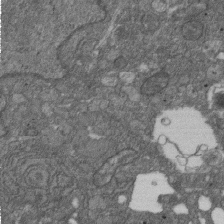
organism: Drosophila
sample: Nephrocyte